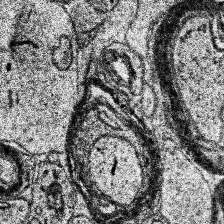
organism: Human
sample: Temporal Lobe